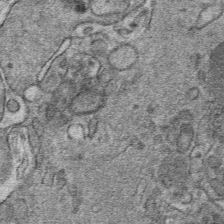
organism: Mouse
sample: Mouse hepatocytes